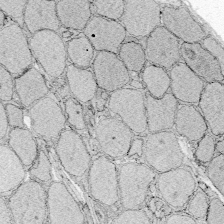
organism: Zebrafish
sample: Whole-Brain